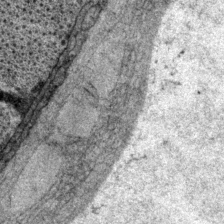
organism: P. pacificus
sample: Pharynx